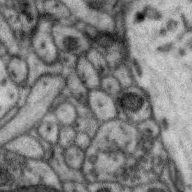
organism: Zebra finch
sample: Brain